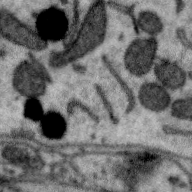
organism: Zebra finch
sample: Brain